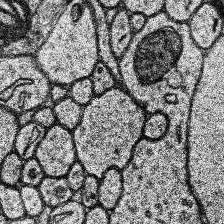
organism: Human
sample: Temporal Lobe